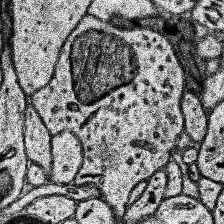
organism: Human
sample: Temporal Lobe